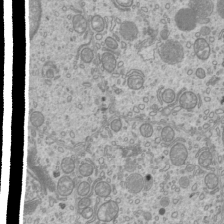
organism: Mouse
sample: Cilia; mouse epididymis